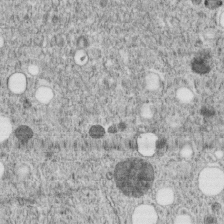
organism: C. elegans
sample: C. elegans embryo early stage